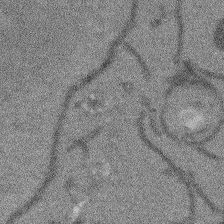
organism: Arabidopsis thaliana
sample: Root tip